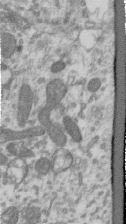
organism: Human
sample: Centriole in RPE cells